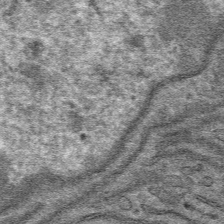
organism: Mouse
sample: Mouse hepatocytes